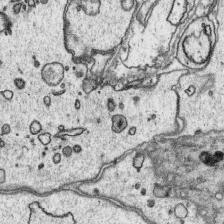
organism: Platynereis dumerilii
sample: Parapodia